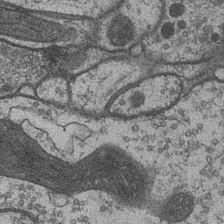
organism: Drosophila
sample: Optic medulla